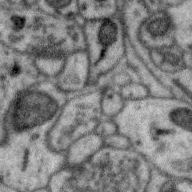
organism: Zebra finch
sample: Brain